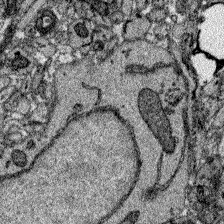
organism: Zebrafish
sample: Larval olfactory bulb